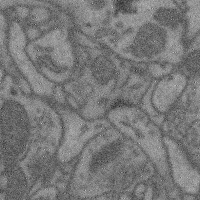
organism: Mouse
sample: Cerebral cortex